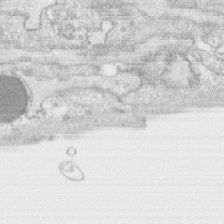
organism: Human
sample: CRL-1474